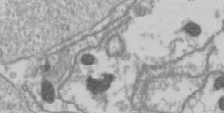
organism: Drosophila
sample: Cell division; meiosis; drosophila spermatocytes